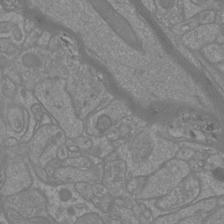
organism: Mouse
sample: Cortical neurons